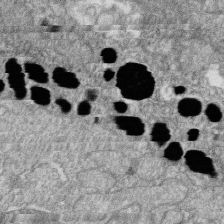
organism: Zebrafish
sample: Cilia; retinal pigment epithelium